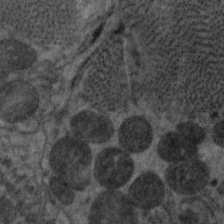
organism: C. elegans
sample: Pharynx